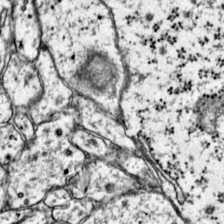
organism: Mouse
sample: Primary visual cortex